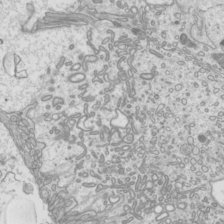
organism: Mouse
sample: Cilia; mouse epididymis